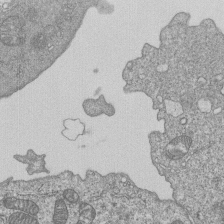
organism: Human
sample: MDA-MB-231 cells